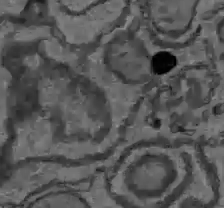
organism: C57BL Mouse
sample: Liver